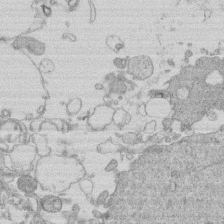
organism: Human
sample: Macrophage cells